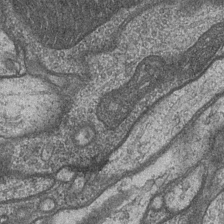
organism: Drosophila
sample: Optic medulla